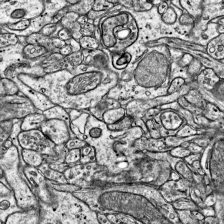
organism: Mouse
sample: Visual Cortex